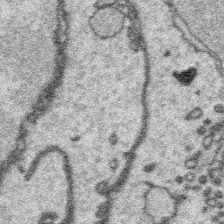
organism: Platynereis dumerilii